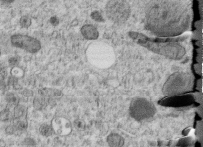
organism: C. elegans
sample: C. elegans embryo early stage